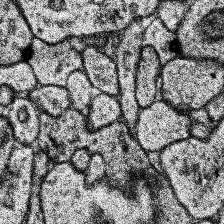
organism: Human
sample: Temporal Lobe